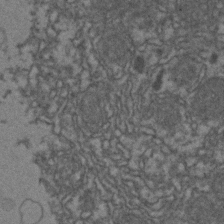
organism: Zebrafish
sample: Zebrafish embryo